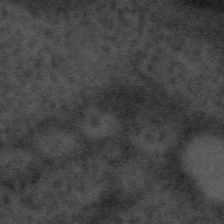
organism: Tuwongella immobilis